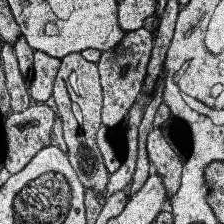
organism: Human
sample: Temporal Lobe